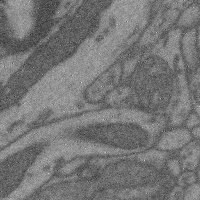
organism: Mouse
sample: Cerebral cortex